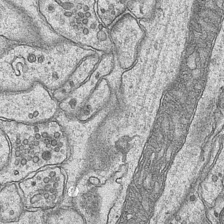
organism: Mouse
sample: CA1 Hippocampus